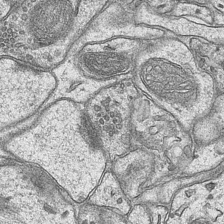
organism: Mouse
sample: CA1 Hippocampus